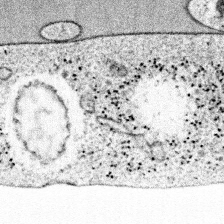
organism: Human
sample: HeLa cells